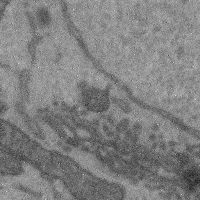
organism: Mouse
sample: Cerebral cortex